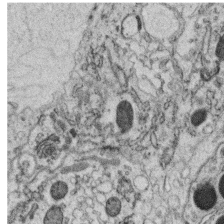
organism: C. elegans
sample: C. elegans oocyte; sperm cells